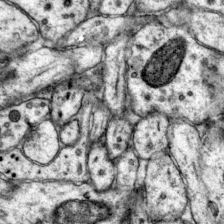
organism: Mouse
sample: Primary visual cortex